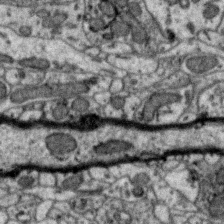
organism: Zebra finch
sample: Brain